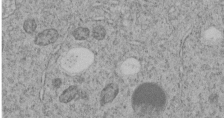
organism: C. elegans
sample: C. elegans embryo early stage